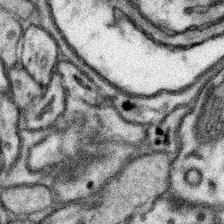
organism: Mouse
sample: Somatosensory cortex neuropil